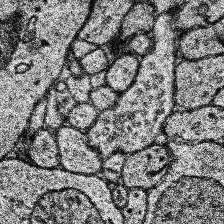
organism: Human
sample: Temporal Lobe